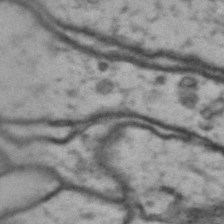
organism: Drosophila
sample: Brain